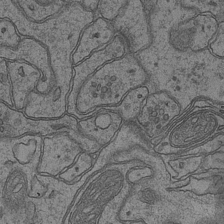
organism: Mouse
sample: CA1 Hippocampus